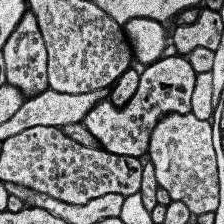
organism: Human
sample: Temporal Lobe